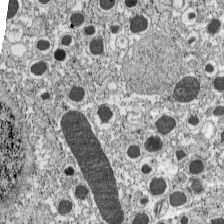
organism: C57BL Mouse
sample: Pancreatic islet